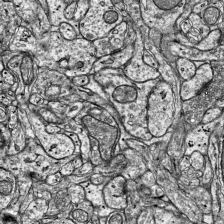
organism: Mouse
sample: Visual Cortex